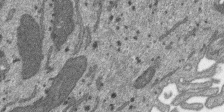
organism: Human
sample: Lung epithelial cells infected with SARS-CoV-2